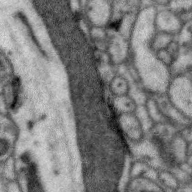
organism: Zebra finch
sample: Brain